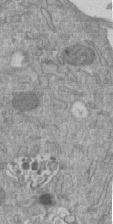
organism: Mouse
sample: ED-1 cell nuclei; centrioles